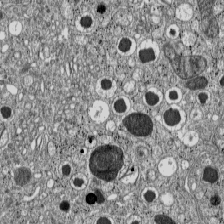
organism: C57BL Mouse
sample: Pancreatic islet